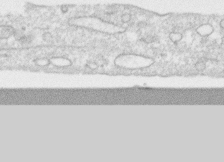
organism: Human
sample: CRL-1474